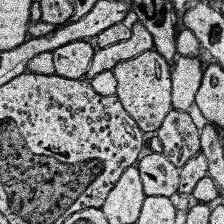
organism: Human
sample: Temporal Lobe